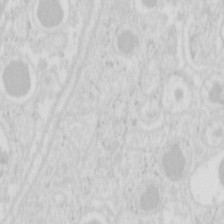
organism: Mouse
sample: Pancreas